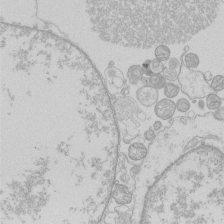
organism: Human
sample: Macrophage cells